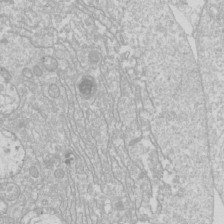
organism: Drosophila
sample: Cell division; meiosis; drosophila spermatocytes